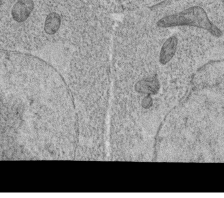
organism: C. elegans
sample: C. elegans oocyte; sperm cells